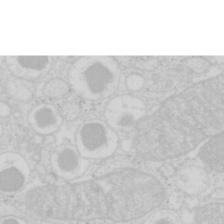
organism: Mouse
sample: Pancreas